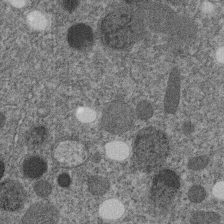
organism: C. elegans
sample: C. elegans embryo early stage